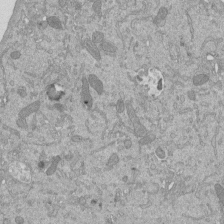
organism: Mouse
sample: ED-1 cell nuclei; centrioles